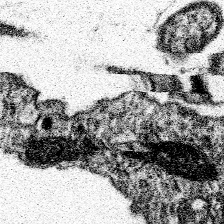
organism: Spongilla lacustris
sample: Neuroid cell